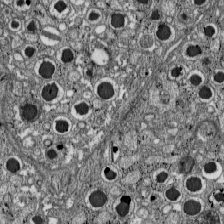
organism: C57BL Mouse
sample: Pancreatic islet